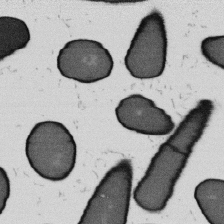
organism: B. subtilis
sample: Bacterial spore